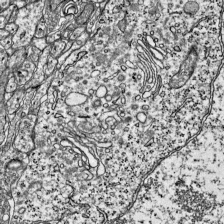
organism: Mouse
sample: Visual Cortex